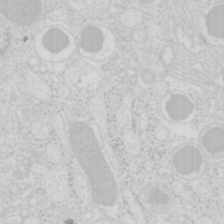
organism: Mouse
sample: Pancreas